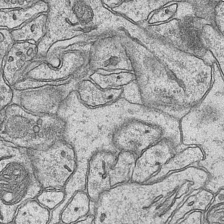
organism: Mouse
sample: CA1 Hippocampus